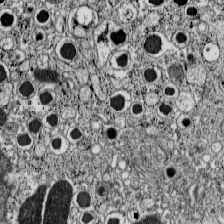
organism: C57BL Mouse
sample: Pancreatic islet